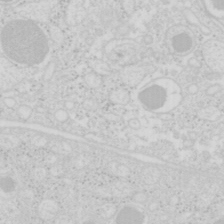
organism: Mouse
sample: Pancreas